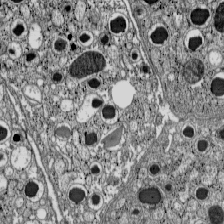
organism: C57BL Mouse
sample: Pancreatic islet